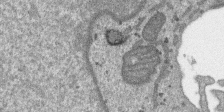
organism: Human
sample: Lung epithelial cells infected with SARS-CoV-2